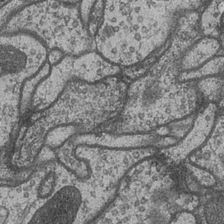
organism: Drosophila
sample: Optic medulla